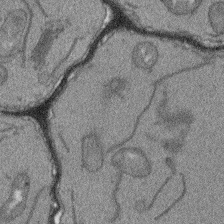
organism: Arabidopsis thaliana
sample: Root tip